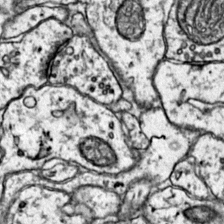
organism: Mouse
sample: Primary visual cortex